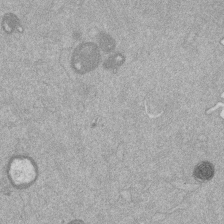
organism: Mouse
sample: Dividing mouse embryo 1 cell stage